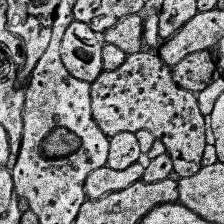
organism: Human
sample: Temporal Lobe